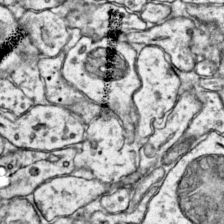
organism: Mouse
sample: Primary visual cortex